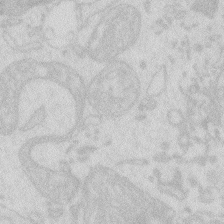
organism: Zebrafish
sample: Macrophage